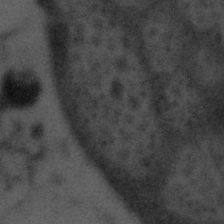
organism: Tuwongella immobilis